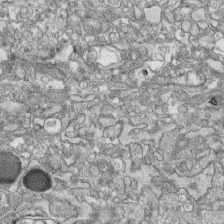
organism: Human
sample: CRL-1474